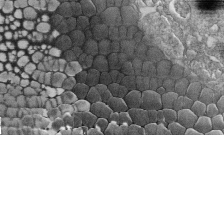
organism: Tetrahymena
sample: Cilia in tetrahymena